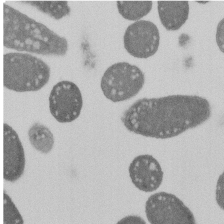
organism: E. coli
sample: Bacterial nucleoid